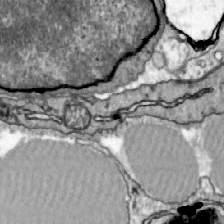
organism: Zebrafish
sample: Actinotrichia fibers